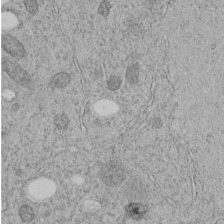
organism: C. elegans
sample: C. elegans embryo early stage